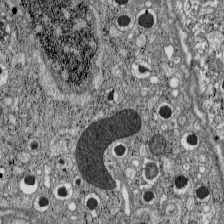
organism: C57BL Mouse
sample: Pancreatic islet